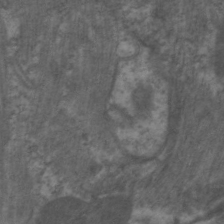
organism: C. elegans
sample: Pharynx